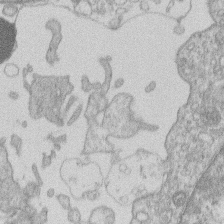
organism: Human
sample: Macrophage cells